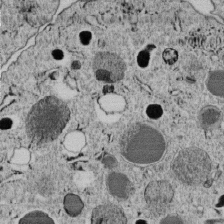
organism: C. elegans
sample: C. elegans embryo early stage